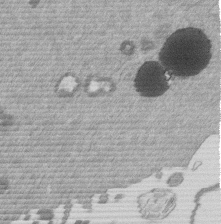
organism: Mouse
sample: Dividing mouse embryo 1 cell stage